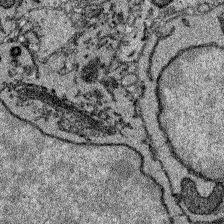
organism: Zebrafish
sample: Larval olfactory bulb